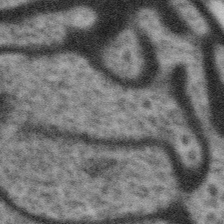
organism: Gemmata obscuriglobus